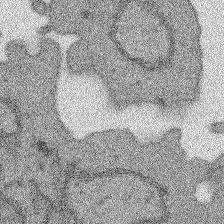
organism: Human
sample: HeLa cells